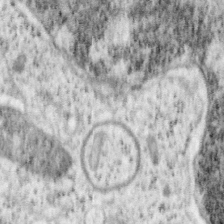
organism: Mouse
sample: OT-I killer T cells with ID8 ovarian cancer cells